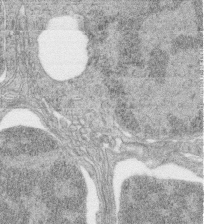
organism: Zebrafish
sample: synaptic ribbons in rod cells and cone cells